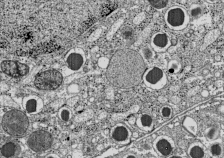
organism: C57BL Mouse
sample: Pancreatic islet